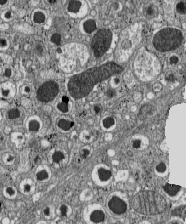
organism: C57BL Mouse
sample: Pancreatic islet